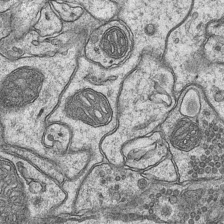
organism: Mouse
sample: CA1 Hippocampus